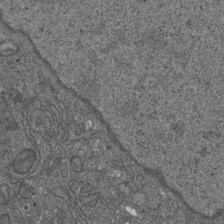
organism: Drosophila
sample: Nephrocyte